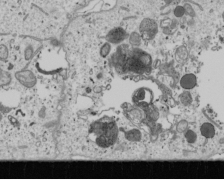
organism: Human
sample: Mitochondria in U2OS cells